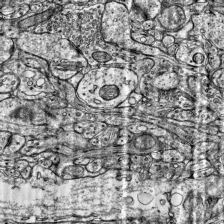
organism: Mouse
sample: Visual Cortex